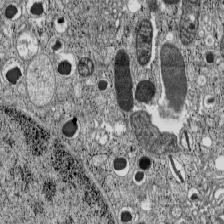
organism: C57BL Mouse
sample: Pancreatic islet